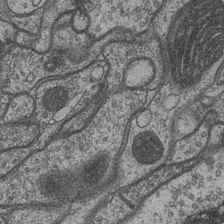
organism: Drosophila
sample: Optic medulla